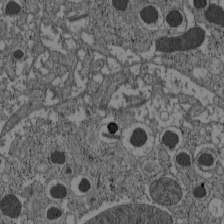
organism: C57BL Mouse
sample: Pancreatic islet